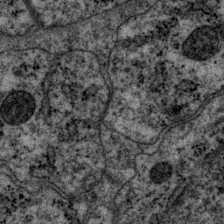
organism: P. pacificus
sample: Pharynx